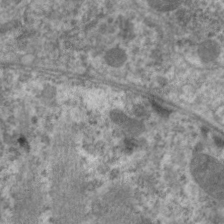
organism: C. elegans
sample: Pharynx